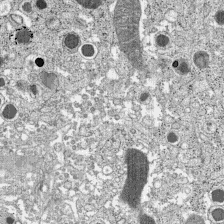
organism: C57BL Mouse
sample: Pancreatic islet